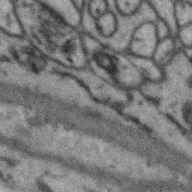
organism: Zebra finch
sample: Brain